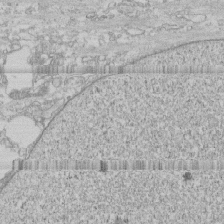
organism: Human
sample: CRL-1474